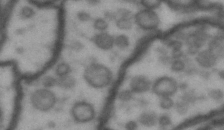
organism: Drosophila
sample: Brain